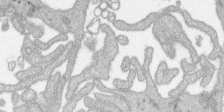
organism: Human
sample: Lung epithelial cells infected with SARS-CoV-2